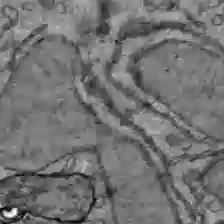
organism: C57BL Mouse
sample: Liver